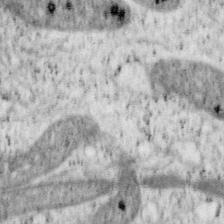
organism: Mouse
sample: OT-I killer T cells with ID8 ovarian cancer cells